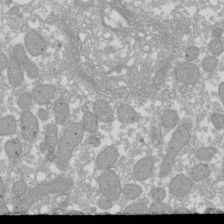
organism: Xenopus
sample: Cilia; centrioles in frog embryo cells